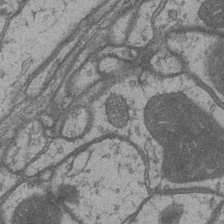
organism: Drosophila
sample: Optic medulla